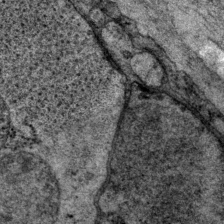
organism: P. pacificus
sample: Pharynx